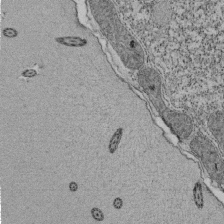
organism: Tetrahymena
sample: Cilia in tetrahymena